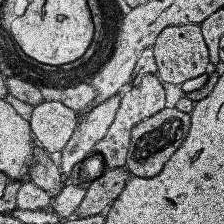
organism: Human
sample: Temporal Lobe